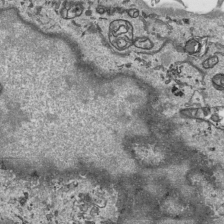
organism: Human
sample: Mitochondria in HCT116 cells